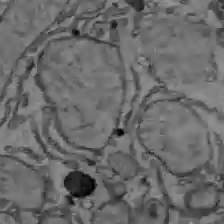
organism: C57BL Mouse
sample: Liver